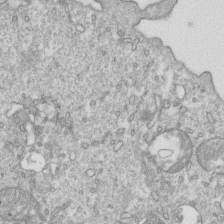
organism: Mouse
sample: Activated OT-1 CD8+ T cells